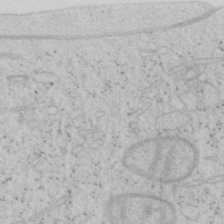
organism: Human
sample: HeLa cells